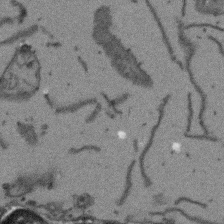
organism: Arabidopsis thaliana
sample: Root tip